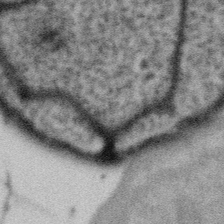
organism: Gemmata obscuriglobus